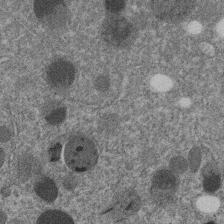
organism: C. elegans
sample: C. elegans embryo early stage